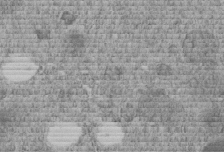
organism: C. elegans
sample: C. elegans embryo early stage